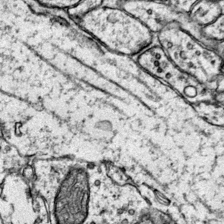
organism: Mouse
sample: Primary visual cortex